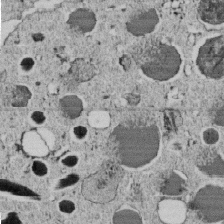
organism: C. elegans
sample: C. elegans embryo early stage